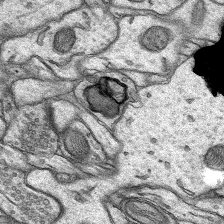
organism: Rat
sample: Hippocampus